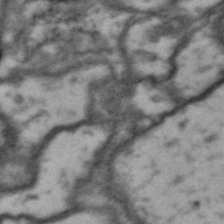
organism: Drosophila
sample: Brain